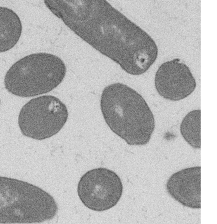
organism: B. subtilis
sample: Bacterial spore